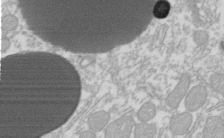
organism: Xenopus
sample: Cilia; centrioles in frog embryo cells